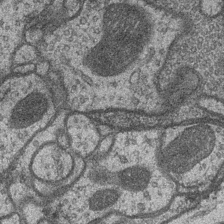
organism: Drosophila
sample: Optic medulla